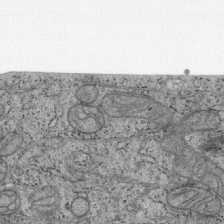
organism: Human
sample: HeLa cells